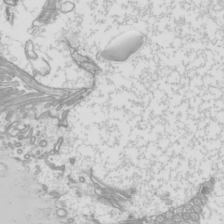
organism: Mouse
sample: Cilia; mouse epididymis